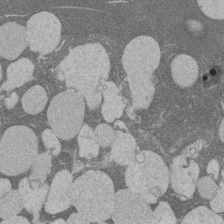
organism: Rat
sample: Salivary granule